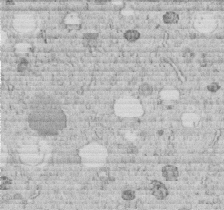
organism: C. elegans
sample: C. elegans embryo early stage